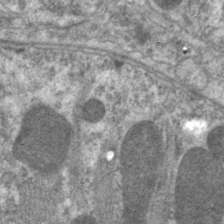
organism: C. elegans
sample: Pharynx